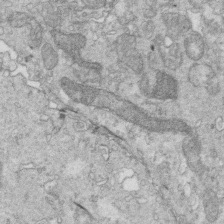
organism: Mouse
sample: Multiciliated cells